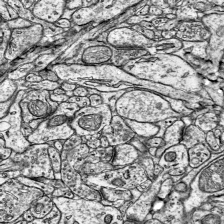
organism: Mouse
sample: Visual Cortex